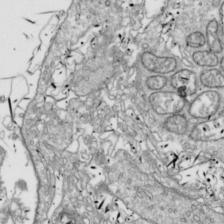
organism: Drosophila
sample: Cell division; meiosis; drosophila spermatocytes